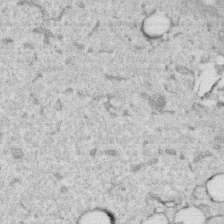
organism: Human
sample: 1205lu cells